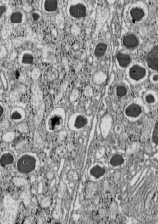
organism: C57BL Mouse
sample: Pancreatic islet